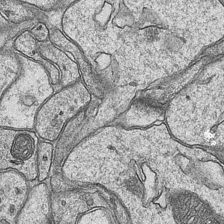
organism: Mouse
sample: CA1 Hippocampus